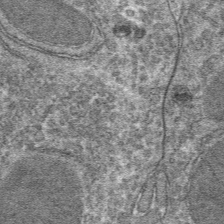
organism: Mouse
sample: Mouse hepatocytes